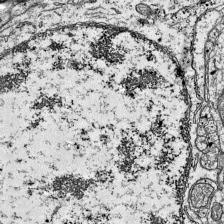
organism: Mouse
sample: Visual Cortex